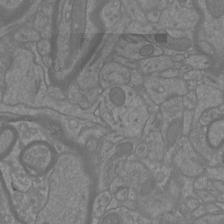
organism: Mouse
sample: Cortical neurons